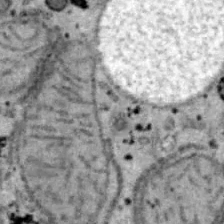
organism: Mouse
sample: Liver from an obese (ob/ob) mouse